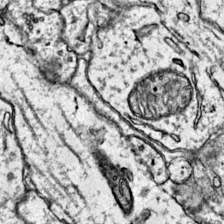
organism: Mouse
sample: Primary visual cortex